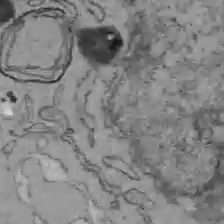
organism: C57BL Mouse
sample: Liver